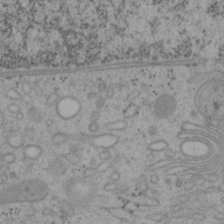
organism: Human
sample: HeLa cells